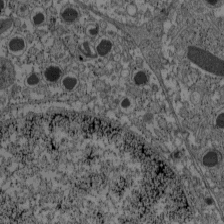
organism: C57BL Mouse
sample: Pancreatic islet